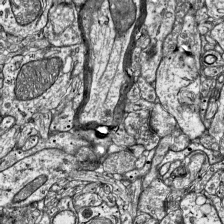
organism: Mouse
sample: Visual Cortex